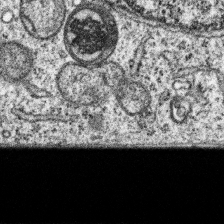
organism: Human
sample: HeLa cells